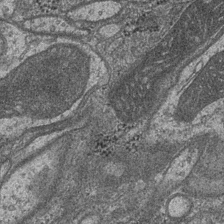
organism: Drosophila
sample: Optic medulla